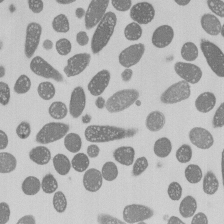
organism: E. coli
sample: Bacterial nucleoid